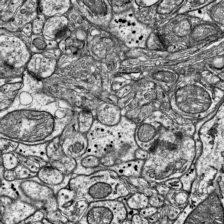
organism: Mouse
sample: Visual Cortex